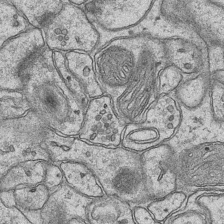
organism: Mouse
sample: CA1 Hippocampus